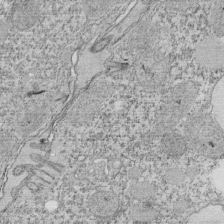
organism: Tetrahymena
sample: Cilia in tetrahymena